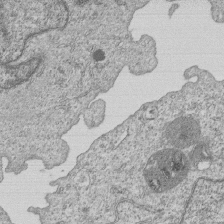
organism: Human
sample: MDA-MB-231 cells